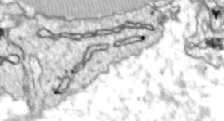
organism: Zebrafish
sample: Actinotrichia fibers